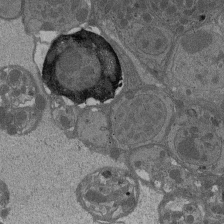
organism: Drosophila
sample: Antenna